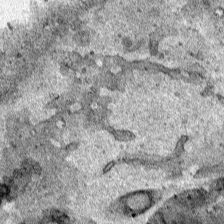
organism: Human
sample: Mitochondria in HCT116 cells